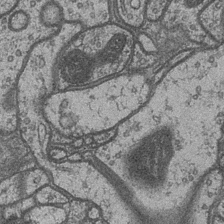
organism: Drosophila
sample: Optic medulla